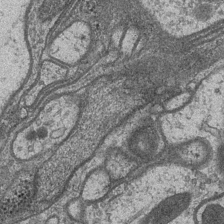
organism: Drosophila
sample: Optic medulla